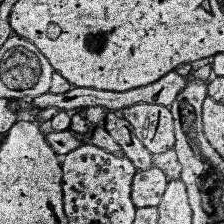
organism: Human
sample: Temporal Lobe